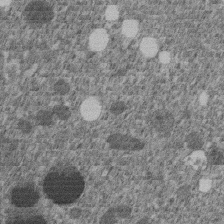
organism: C. elegans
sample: C. elegans embryo early stage